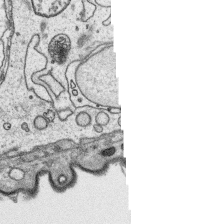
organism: Platynereis dumerilii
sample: Parapodia